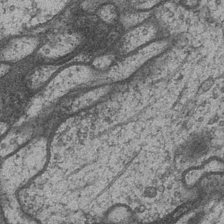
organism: Drosophila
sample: Optic medulla